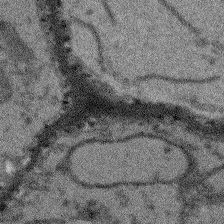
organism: Arabidopsis thaliana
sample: Root tip